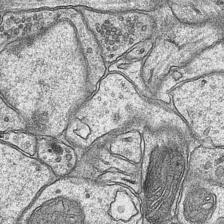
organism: Mouse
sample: CA1 Hippocampus